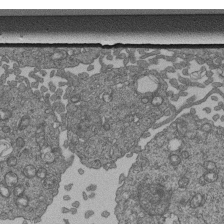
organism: Human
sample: Retinal organoid Rod and Cone cells